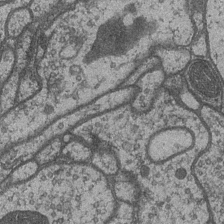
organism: Drosophila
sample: Optic medulla